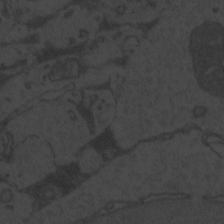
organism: Zebrafish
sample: Macrophage infected with Toxoplasma gondii